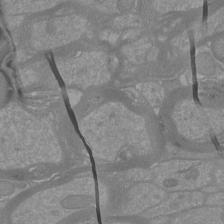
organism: Mouse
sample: Cortical neurons